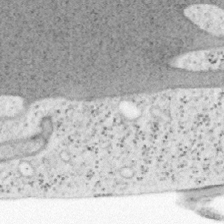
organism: Mouse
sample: OT-I killer T cells with ID8 ovarian cancer cells